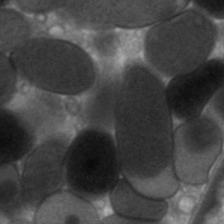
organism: C. elegans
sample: Pharynx